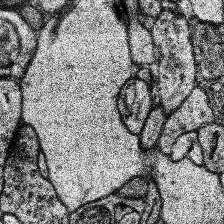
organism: Human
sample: Temporal Lobe